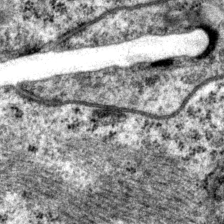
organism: P. pacificus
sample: Pharynx